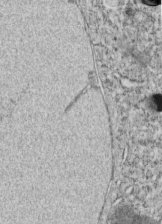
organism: C. elegans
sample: C. elegans embryo early stage